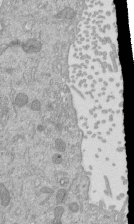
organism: Mouse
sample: ED-1 cell nuclei; centrioles